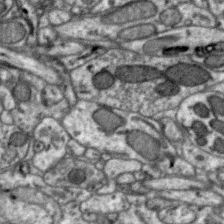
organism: Zebra finch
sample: Brain